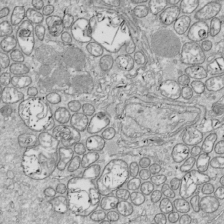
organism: Drosophila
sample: Cell division; meiosis; drosophila spermatocytes